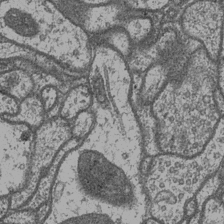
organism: Drosophila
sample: Optic medulla